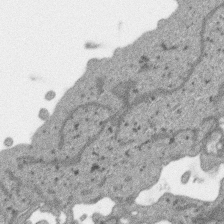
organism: Human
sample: Lung epithelial cells infected with SARS-CoV-2